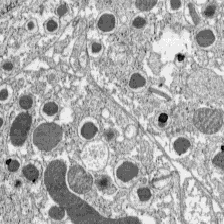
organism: C57BL Mouse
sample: Pancreatic islet